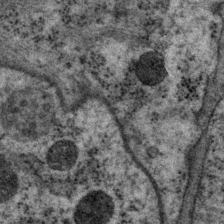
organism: P. pacificus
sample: Pharynx